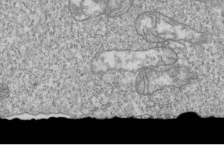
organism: Human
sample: HeLa cell HIV synapse